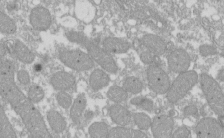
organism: Xenopus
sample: Cilia; centrioles in frog embryo cells